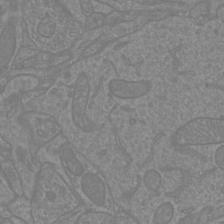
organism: Mouse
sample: Cortical neurons